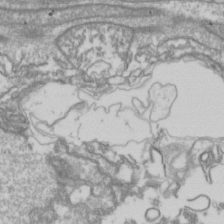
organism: Drosophila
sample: Cell division; meiosis; drosophila spermatocytes